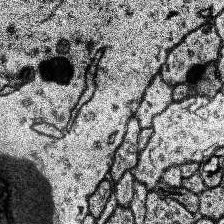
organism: Human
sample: Temporal Lobe